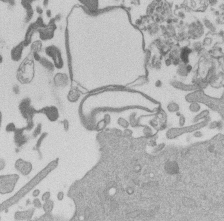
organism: Mouse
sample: Dividing mouse embryo 1 cell stage